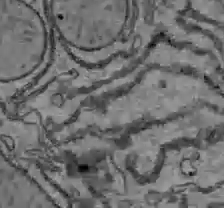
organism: C57BL Mouse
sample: Liver